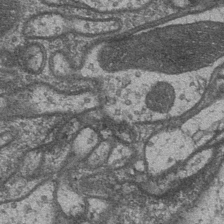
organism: Drosophila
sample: Optic medulla